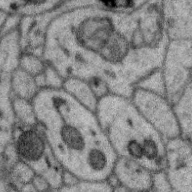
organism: Zebra finch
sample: Brain